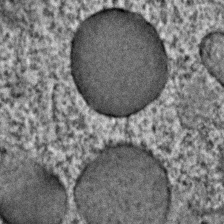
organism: C. elegans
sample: C. elegans embryo